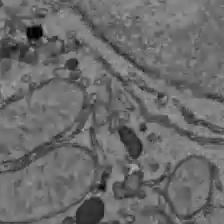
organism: C57BL Mouse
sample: Liver